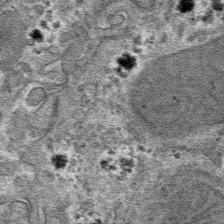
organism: Mouse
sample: Mouse hepatocytes